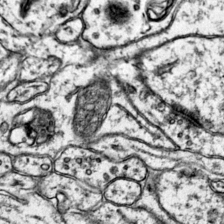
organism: Mouse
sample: Primary visual cortex